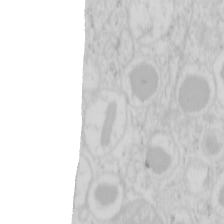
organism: Mouse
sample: Pancreas